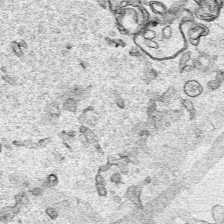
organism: Human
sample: Mitochondria in HCT116 cells